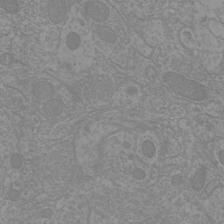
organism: Mouse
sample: Cortical neurons